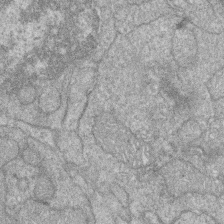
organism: Zebrafish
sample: Cilia; retinal pigment epithelium